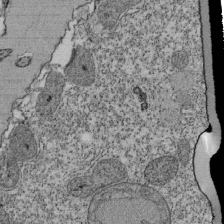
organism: Tetrahymena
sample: Cilia in tetrahymena